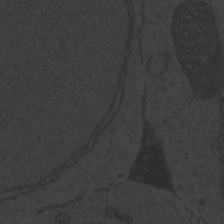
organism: Zebrafish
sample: Macrophage infected with Toxoplasma gondii